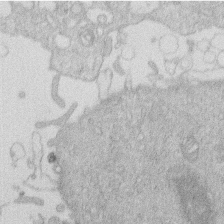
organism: Human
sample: Macrophage cells